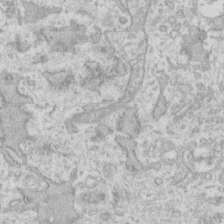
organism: Human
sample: Fibroblast cells